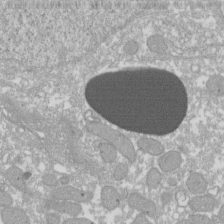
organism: Xenopus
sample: Cilia; centrioles in frog embryo cells